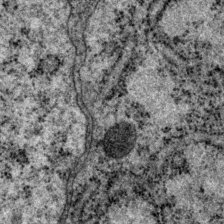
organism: P. pacificus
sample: Pharynx